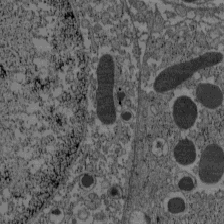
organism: C57BL Mouse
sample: Pancreatic islet